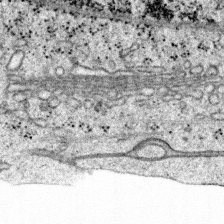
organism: Human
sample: HeLa cells